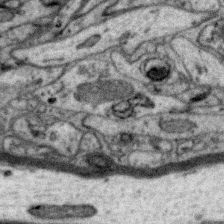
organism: Zebra finch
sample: Brain